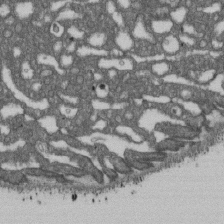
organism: Drosophila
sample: Nephrocyte